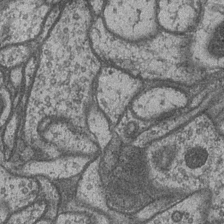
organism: Drosophila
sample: Optic medulla